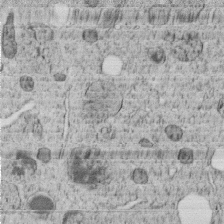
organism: C. elegans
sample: C. elegans embryo early stage